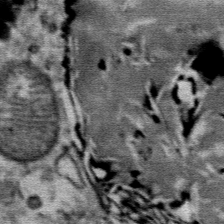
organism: Mouse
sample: Mouse Salivary gland